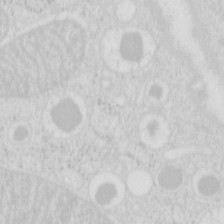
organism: Mouse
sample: Pancreas